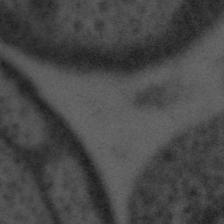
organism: Tuwongella immobilis